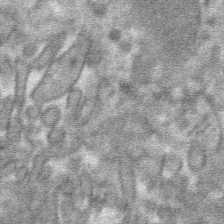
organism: Mouse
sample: Mouse hepatocytes